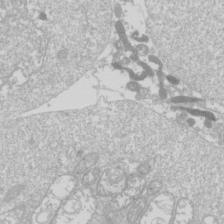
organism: Drosophila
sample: Cell division; meiosis; drosophila spermatocytes